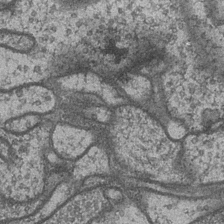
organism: Drosophila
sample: Optic medulla